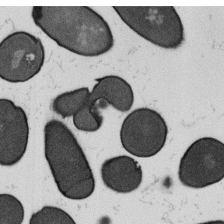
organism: B. subtilis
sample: Bacterial spore